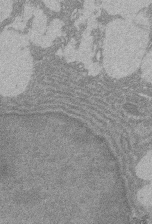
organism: Rat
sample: Salivary granule